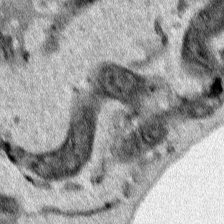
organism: Human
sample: Mitochondria in HCT116 cells